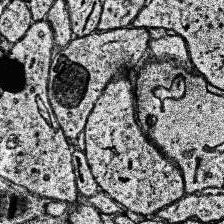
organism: Human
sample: Temporal Lobe